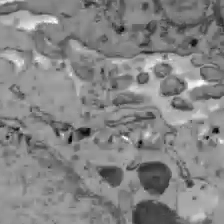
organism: C57BL Mouse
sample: Liver